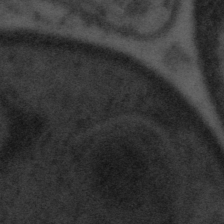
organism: Tuwongella immobilis